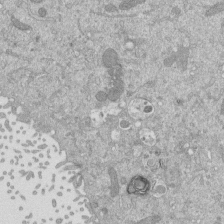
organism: Mouse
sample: ED-1 cell nuclei; centrioles